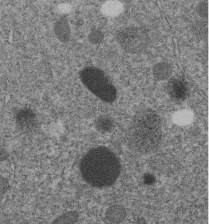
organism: C. elegans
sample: C. elegans embryo early stage